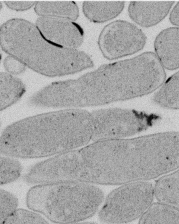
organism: E. coli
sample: Bacterial nucleoid